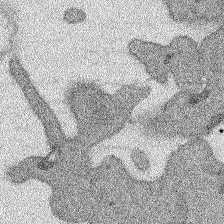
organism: Human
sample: HeLa cells